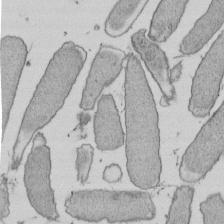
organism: E. coli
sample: Bacterial nucleoid